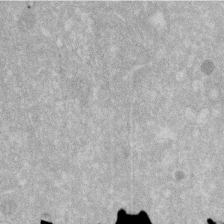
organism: Human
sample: HIV infected U937 cells